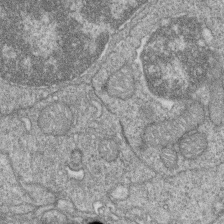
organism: Zebrafish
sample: Cilia; retinal pigment epithelium